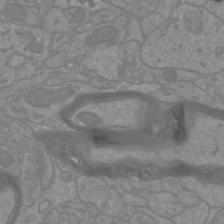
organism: Mouse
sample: Cortical neurons